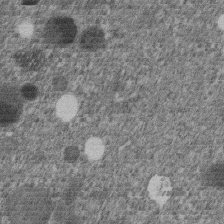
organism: C. elegans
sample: C. elegans embryo early stage